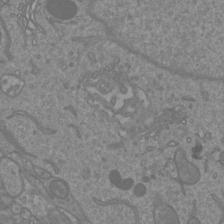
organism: Mouse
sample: Cortical neurons